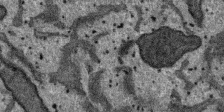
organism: Human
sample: Lung epithelial cells, uninfected (mock) control